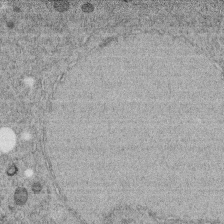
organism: C. elegans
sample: C. elegans embryo early stage